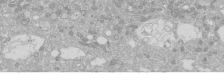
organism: Human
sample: Caco-2 cells